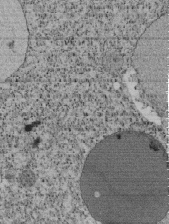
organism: Tetrahymena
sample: Cilia in tetrahymena